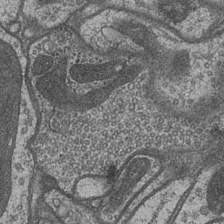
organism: Drosophila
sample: Optic medulla